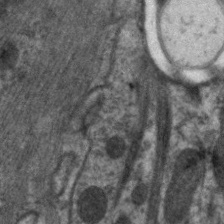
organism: C. elegans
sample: Pharynx